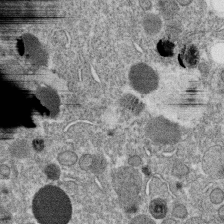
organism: C. elegans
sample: C. elegans oocyte; sperm cells